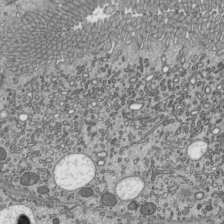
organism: Mouse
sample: Mouse epididymis efferent ductule cilia